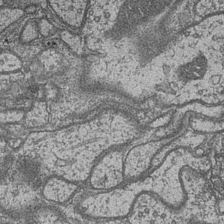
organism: Drosophila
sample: Optic medulla